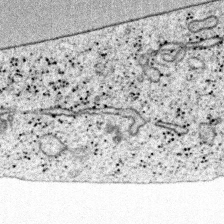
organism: Human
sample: HeLa cells